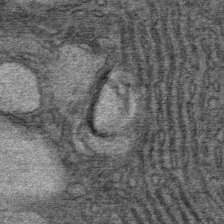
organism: Mouse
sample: Mouse Salivary gland